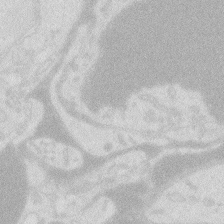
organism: Zebrafish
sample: Macrophage